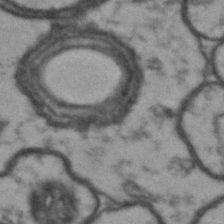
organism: Drosophila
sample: Brain